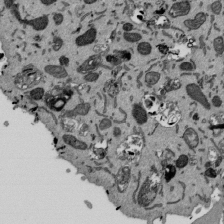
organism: Mouse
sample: ED-1 cell nuclei; centrioles